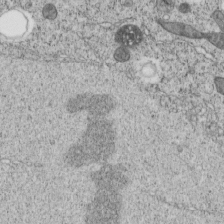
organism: C. elegans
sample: C. elegans embryo early stage